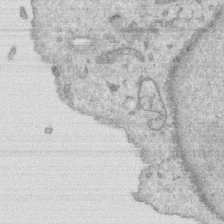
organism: Human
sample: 1205lu cells